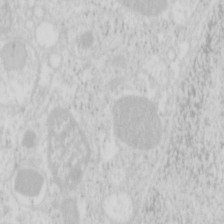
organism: Mouse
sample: Pancreas